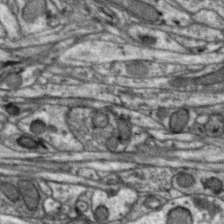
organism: Zebra finch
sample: Brain